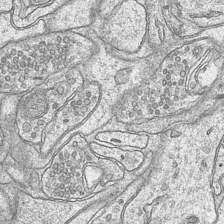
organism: Mouse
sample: CA1 Hippocampus